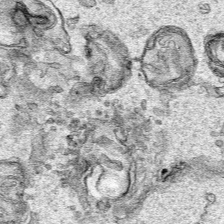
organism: Human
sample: Mitochondria in HCT116 cells